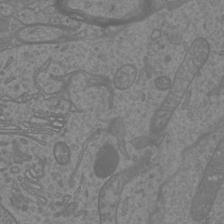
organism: Mouse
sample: Cortical neurons